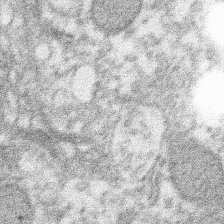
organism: Xenopus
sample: Cilia; centrioles in frog embryo cells